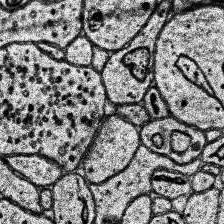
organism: Human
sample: Temporal Lobe